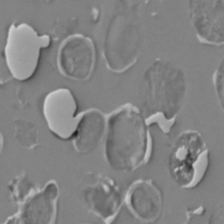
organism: C. elegans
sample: C. elegans embryo